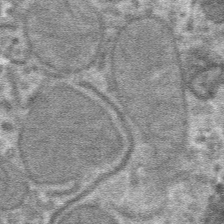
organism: Mouse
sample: Mouse hepatocytes